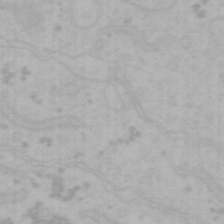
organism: Mouse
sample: Choroid plexus